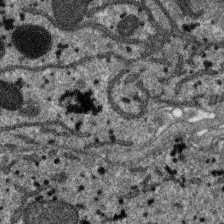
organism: Human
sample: Lung epithelial cells infected with SARS-CoV-2